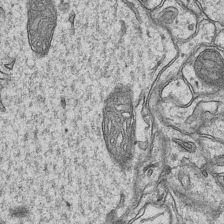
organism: Mouse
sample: CA1 Hippocampus